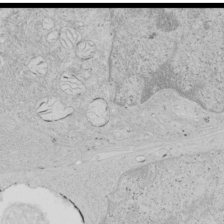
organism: Human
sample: Mitochondria in HCT116 cells